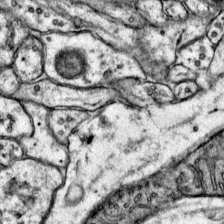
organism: Mouse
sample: Primary visual cortex